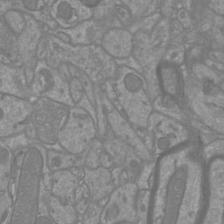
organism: Mouse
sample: Cortical neurons